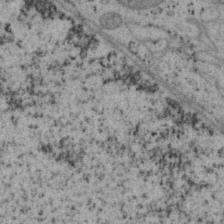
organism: Human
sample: HeLa cells